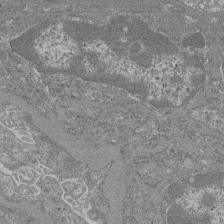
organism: Mouse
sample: Glomerulus